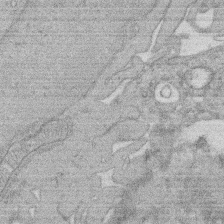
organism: Rat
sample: Salivary granule